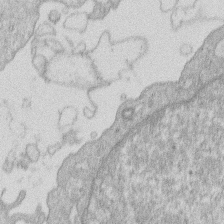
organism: Human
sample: Macrophage cells